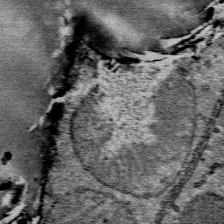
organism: Mouse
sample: Mouse Salivary gland